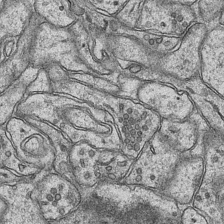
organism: Mouse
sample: CA1 Hippocampus